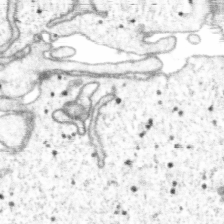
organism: Human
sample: HeLa cells